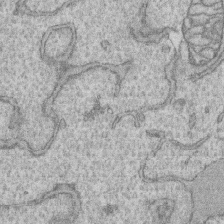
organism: Human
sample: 1205lu cells